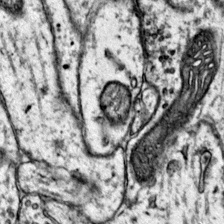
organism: Mouse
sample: Primary visual cortex